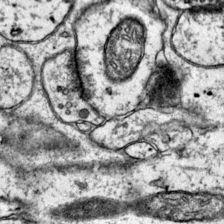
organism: Mouse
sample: Primary visual cortex